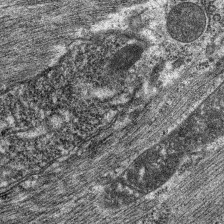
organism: C. elegans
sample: Pharynx